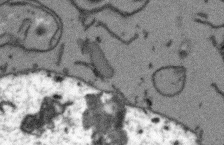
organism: Arabidopsis thaliana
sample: Root tip